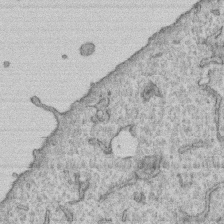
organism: Human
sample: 1205lu cells